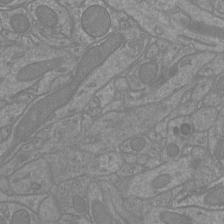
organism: Mouse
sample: Cortical neurons